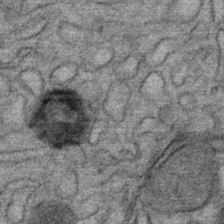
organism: Mouse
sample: Mouse Salivary gland